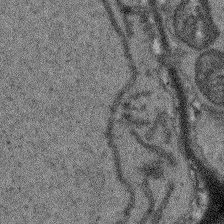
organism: Arabidopsis thaliana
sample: Root tip